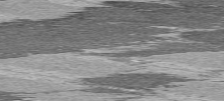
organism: C57BL Mouse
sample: Heart